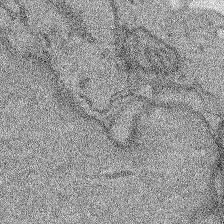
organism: Human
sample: HeLa cells